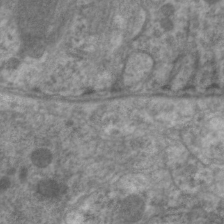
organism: C. elegans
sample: Pharynx